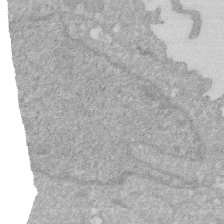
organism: Human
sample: HIV infected U937 cells